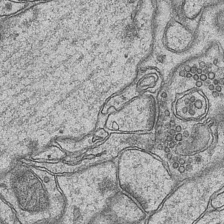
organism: Mouse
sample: CA1 Hippocampus